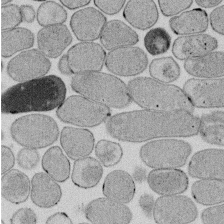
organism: E. coli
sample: Bacterial nucleoid